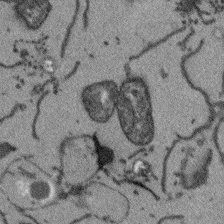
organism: Arabidopsis thaliana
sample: Root tip